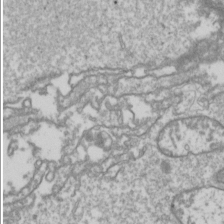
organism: Drosophila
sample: Cell division; meiosis; drosophila spermatocytes